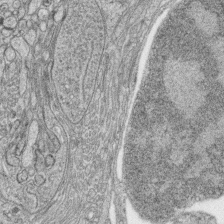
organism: Zebrafish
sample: synaptic ribbons in rod cells and cone cells